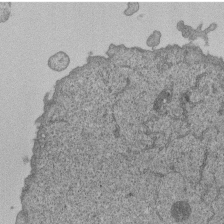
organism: Human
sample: MDA-MB-231 cells